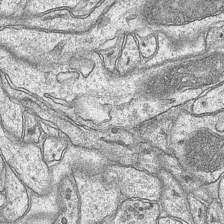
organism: Mouse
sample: CA1 Hippocampus